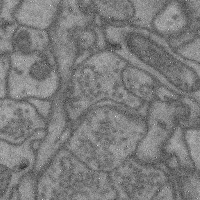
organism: Mouse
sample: Cerebral cortex